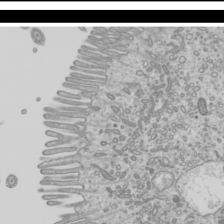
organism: Mouse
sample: Cilia; mouse epididymis